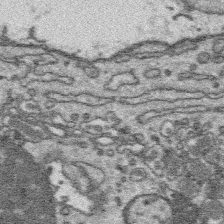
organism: Platynereis dumerilii